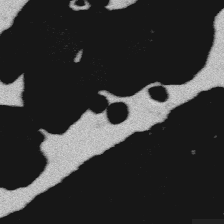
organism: Platynereis dumerilii